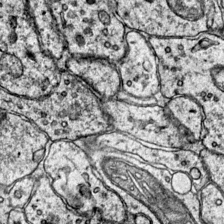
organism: Mouse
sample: Primary visual cortex